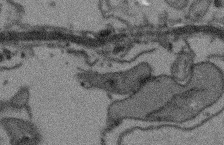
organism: Arabidopsis thaliana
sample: Root tip